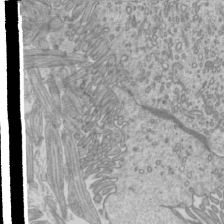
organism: Mouse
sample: Cilia; mouse epididymis